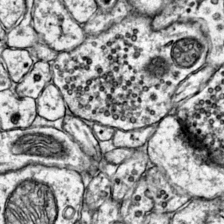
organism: Mouse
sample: Primary visual cortex